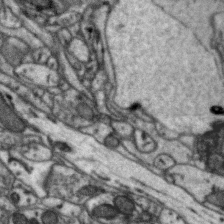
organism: Zebra finch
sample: Brain